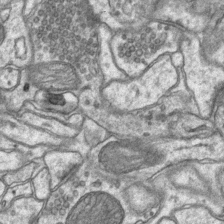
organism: Mouse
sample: CA1 Hippocampus